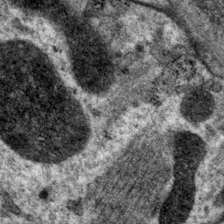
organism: P. pacificus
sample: Pharynx